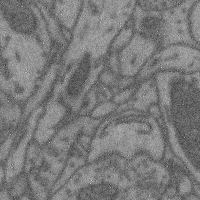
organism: Mouse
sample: Cerebral cortex